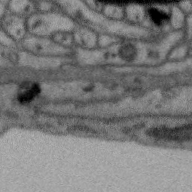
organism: Zebra finch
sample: Brain